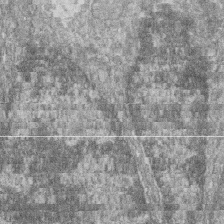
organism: Zebrafish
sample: Cilia; retinal pigment epithelium